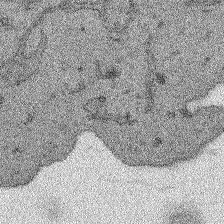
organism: Human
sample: HeLa cells